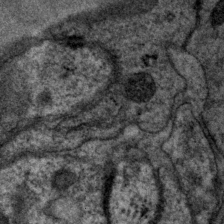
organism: P. pacificus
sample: Pharynx